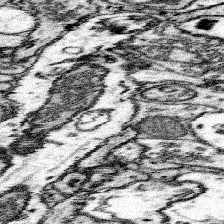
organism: Mouse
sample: Somatosensory cortex neuropil